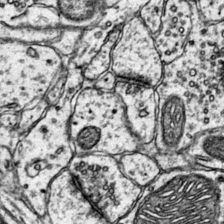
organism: Mouse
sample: Primary visual cortex